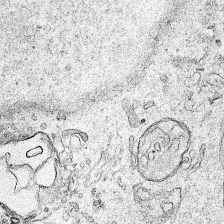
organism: Human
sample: Mitochondria in HCT116 cells